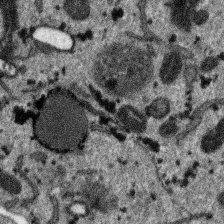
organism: Human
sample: Lung epithelial cells infected with SARS-CoV-2